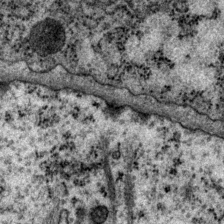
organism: P. pacificus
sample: Pharynx